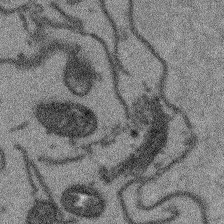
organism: Arabidopsis thaliana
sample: Root tip